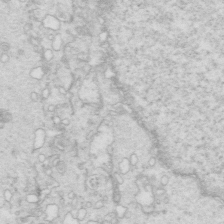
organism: Mouse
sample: Multiciliated cells